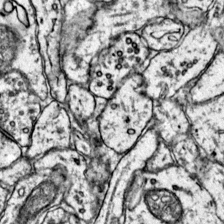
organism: Mouse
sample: Primary visual cortex